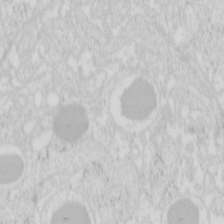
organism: Mouse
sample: Pancreas